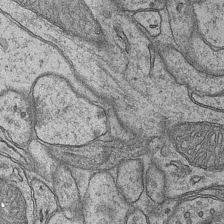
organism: Mouse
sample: CA1 Hippocampus